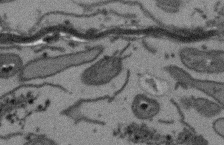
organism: Arabidopsis thaliana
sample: Root tip